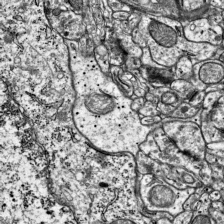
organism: Mouse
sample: Visual Cortex